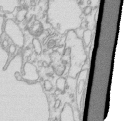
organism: Mouse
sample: Macrophages